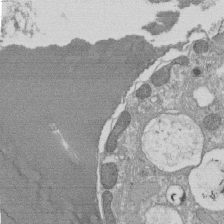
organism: Tetrahymena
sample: Cilia in tetrahymena